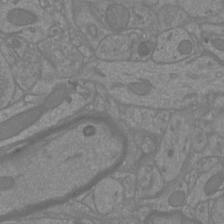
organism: Mouse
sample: Cortical neurons